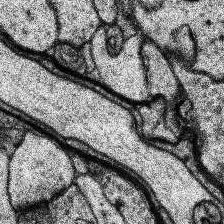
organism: Human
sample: Temporal Lobe